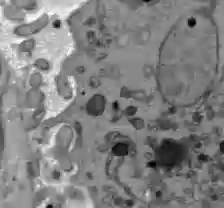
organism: C57BL Mouse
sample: Liver